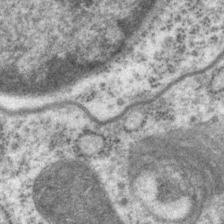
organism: P. pacificus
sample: Pharynx